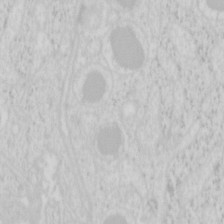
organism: Mouse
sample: Pancreas